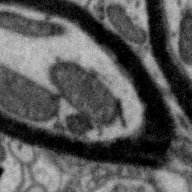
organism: Zebra finch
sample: Brain